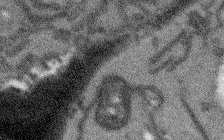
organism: Arabidopsis thaliana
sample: Root tip